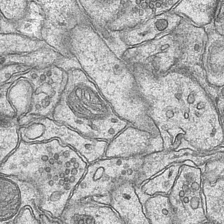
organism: Mouse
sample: CA1 Hippocampus